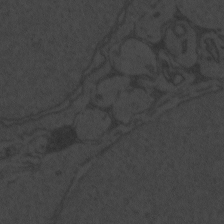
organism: Zebrafish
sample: Macrophage infected with Toxoplasma gondii